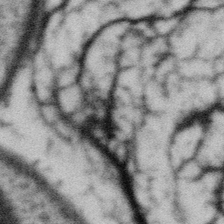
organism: Gemmata obscuriglobus